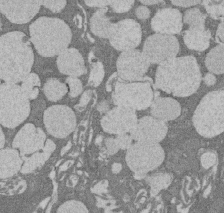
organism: Rat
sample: Salivary granule